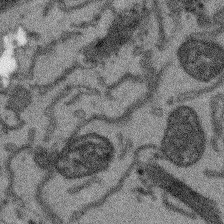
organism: Arabidopsis thaliana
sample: Root tip